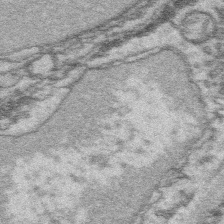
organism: Platynereis dumerilii